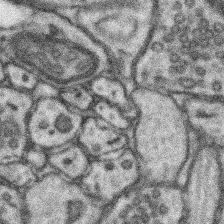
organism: Mouse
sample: Somatosensory cortex neuropil